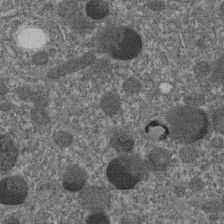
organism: C. elegans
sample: C. elegans embryo early stage